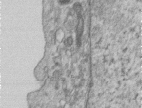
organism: Human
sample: Centriole in RPE cells